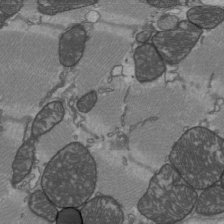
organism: C57BL Mouse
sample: Heart